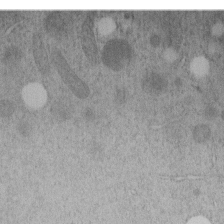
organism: C. elegans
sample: C. elegans embryo early stage